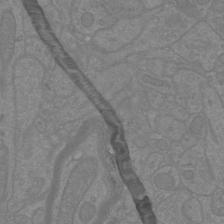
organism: Mouse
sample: Cortical neurons